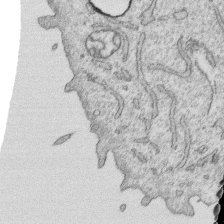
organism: Human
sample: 1205lu cells